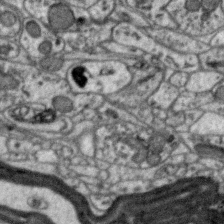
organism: Zebra finch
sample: Brain